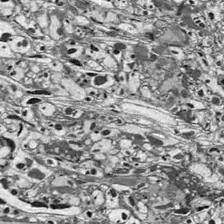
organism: Drosophila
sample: Optic lobe